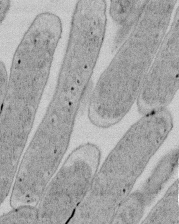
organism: E. coli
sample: Bacterial nucleoid